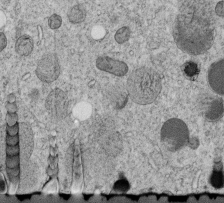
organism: C. elegans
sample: C. elegans embryo early stage